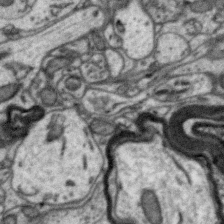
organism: Zebra finch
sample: Brain